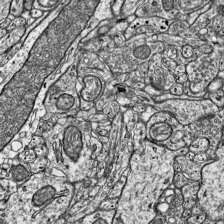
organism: Mouse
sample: Visual Cortex